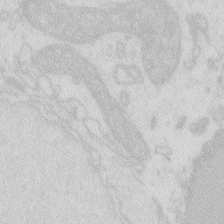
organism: Zebrafish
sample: Macrophage